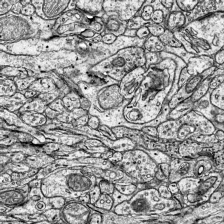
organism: Mouse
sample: Visual Cortex